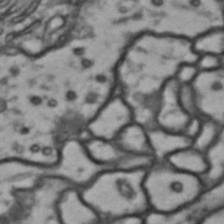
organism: Drosophila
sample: Brain